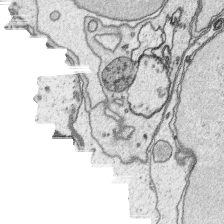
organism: Platynereis dumerilii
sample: Parapodia